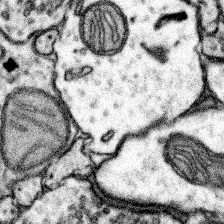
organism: Mouse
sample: Somatosensory cortex neuropil